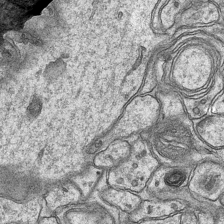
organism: Mouse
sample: CA1 Hippocampus